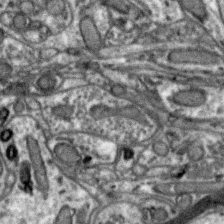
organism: Zebra finch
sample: Brain